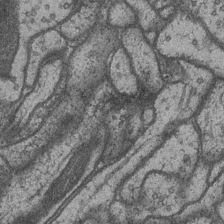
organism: Drosophila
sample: Optic medulla